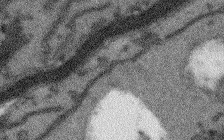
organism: Arabidopsis thaliana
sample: Root tip